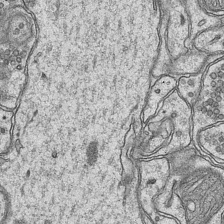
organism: Mouse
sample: CA1 Hippocampus